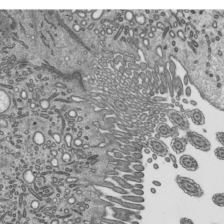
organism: Mouse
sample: Mouse epididymis efferent ductule cilia